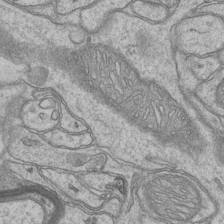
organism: Mouse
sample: CA1 Hippocampus